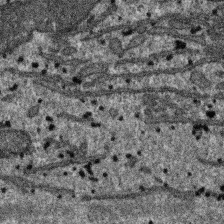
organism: Human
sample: Lung epithelial cells infected with SARS-CoV-2